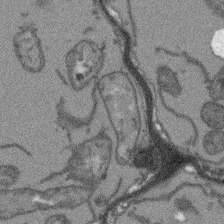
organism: Arabidopsis thaliana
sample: Root tip